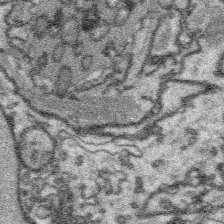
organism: Platynereis dumerilii